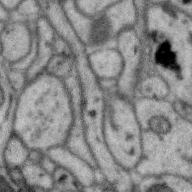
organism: Zebra finch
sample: Brain